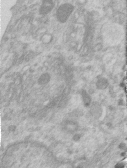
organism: Human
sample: Centriole in RPE cells